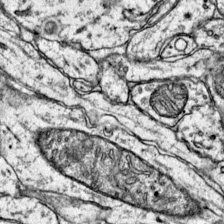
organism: Mouse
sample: Primary visual cortex